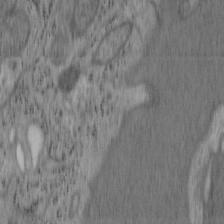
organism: Human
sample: HeLa cells